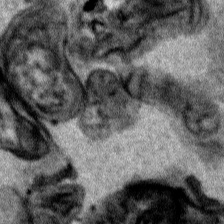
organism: Human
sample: Mitochondria in HCT116 cells